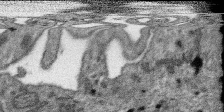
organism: Human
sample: Lung epithelial cells infected with SARS-CoV-2